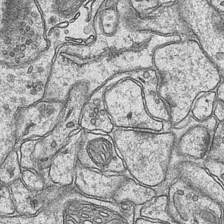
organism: Mouse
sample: CA1 Hippocampus